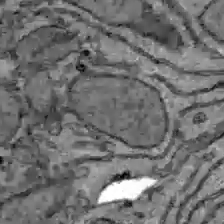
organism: C57BL Mouse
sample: Liver